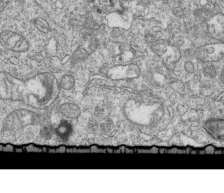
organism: Human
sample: HeLa cell HIV synapse